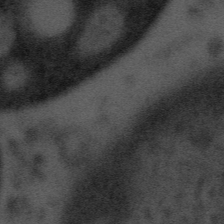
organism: Tuwongella immobilis